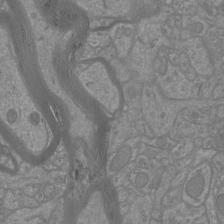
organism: Mouse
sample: Cortical neurons